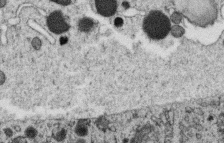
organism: C. elegans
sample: C. elegans oocyte; sperm cells